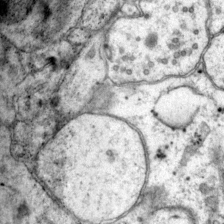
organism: Mouse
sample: Primary visual cortex